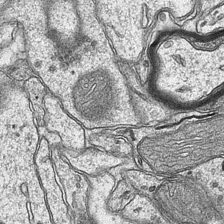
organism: Mouse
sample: CA1 Hippocampus